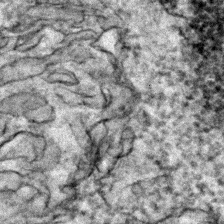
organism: Zebrafish